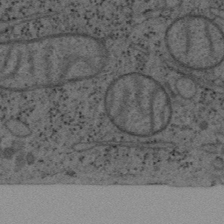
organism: Human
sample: HeLa cells